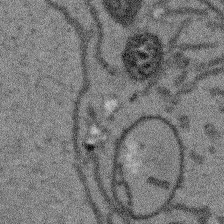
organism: Arabidopsis thaliana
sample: Root tip